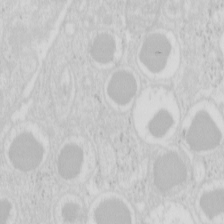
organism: Mouse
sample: Pancreas